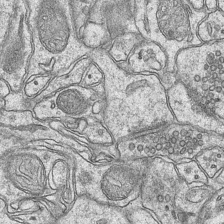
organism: Mouse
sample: CA1 Hippocampus